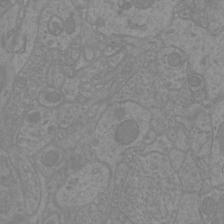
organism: Mouse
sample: Cortical neurons